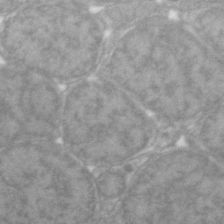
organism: Zebrafish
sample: Zebrafish embryo